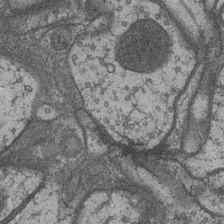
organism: Drosophila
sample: Optic medulla